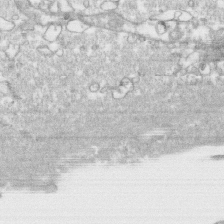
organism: Human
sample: CRL-1474